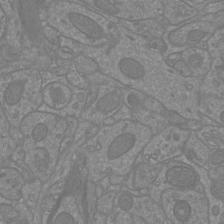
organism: Mouse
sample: Cortical neurons